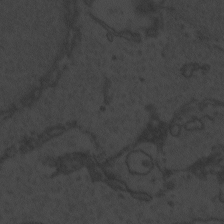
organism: Zebrafish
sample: Macrophage infected with Toxoplasma gondii